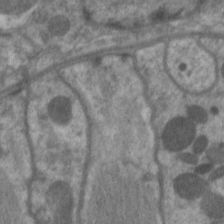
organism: C. elegans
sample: Pharynx